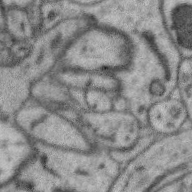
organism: Zebra finch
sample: Brain